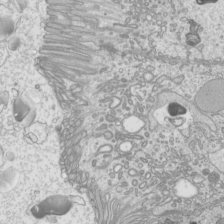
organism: Mouse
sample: Cilia; mouse epididymis